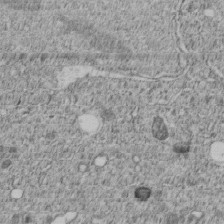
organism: C. elegans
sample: C. elegans embryo early stage